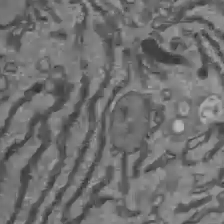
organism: C57BL Mouse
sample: Liver